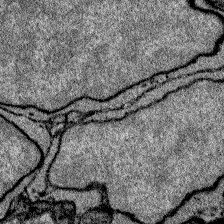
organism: Zebrafish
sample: Larval olfactory bulb